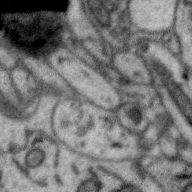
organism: Zebra finch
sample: Brain